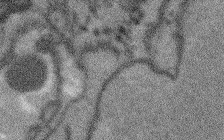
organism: Arabidopsis thaliana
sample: Root tip